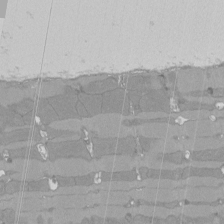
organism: Rat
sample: Left ventricle